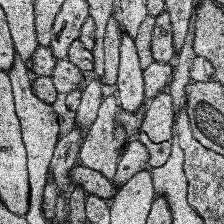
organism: Human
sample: Temporal Lobe